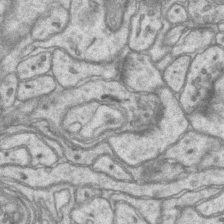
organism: Mouse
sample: CA1 Hippocampus